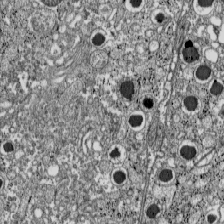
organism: C57BL Mouse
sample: Pancreatic islet